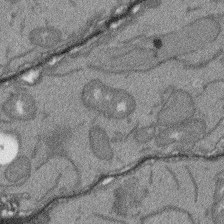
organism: Arabidopsis thaliana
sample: Root tip